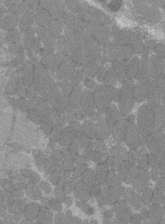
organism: C57BL Mouse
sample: Tibialis anterior muscle cell